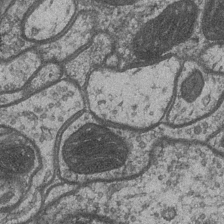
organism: Drosophila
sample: Optic medulla